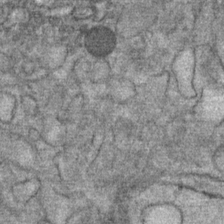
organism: Mouse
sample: Mouse Salivary gland